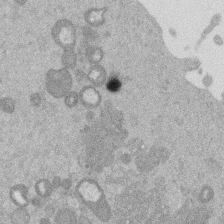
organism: Mouse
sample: Dividing mouse embryo 1 cell stage